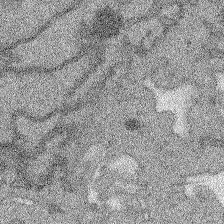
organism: Human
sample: HeLa cells